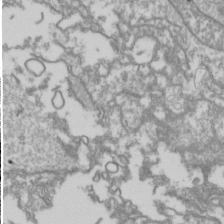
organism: Drosophila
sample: Cell division; meiosis; drosophila spermatocytes